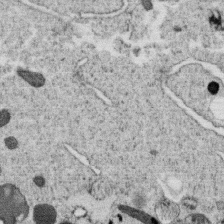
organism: C. elegans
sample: C. elegans oocyte; sperm cells